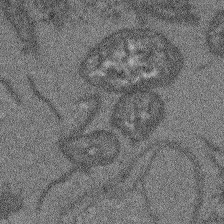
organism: Arabidopsis thaliana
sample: Root tip